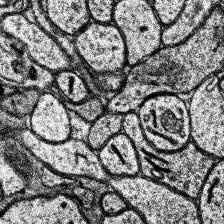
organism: Human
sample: Temporal Lobe